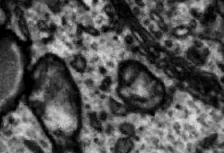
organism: Human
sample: HeLa cells